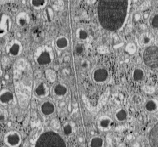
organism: C57BL Mouse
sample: Pancreatic islet